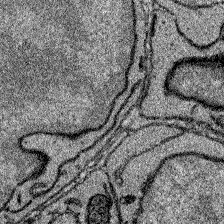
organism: Zebrafish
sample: Larval olfactory bulb